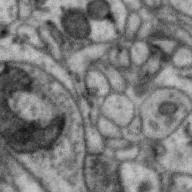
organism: Zebra finch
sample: Brain